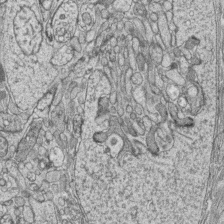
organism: Zebrafish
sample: synaptic ribbons in rod cells and cone cells